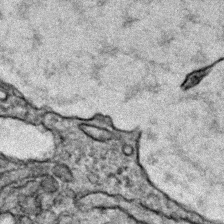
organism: Zebrafish